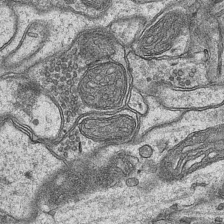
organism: Mouse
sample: CA1 Hippocampus